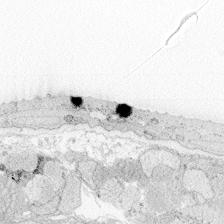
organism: Zebrafish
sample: Whole-Brain